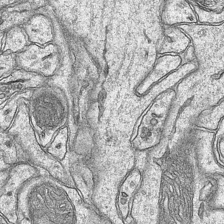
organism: Mouse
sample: CA1 Hippocampus